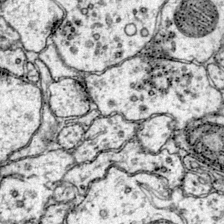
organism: Mouse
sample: Primary visual cortex